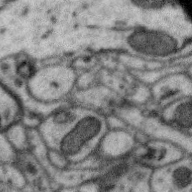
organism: Zebra finch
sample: Brain